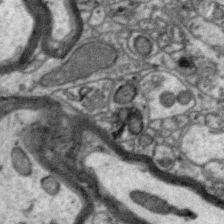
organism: Zebra finch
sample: Brain